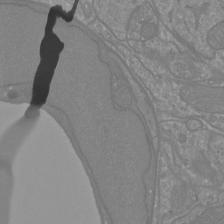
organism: Mouse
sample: Cortical neurons